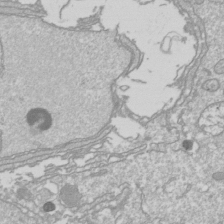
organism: Drosophila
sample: Cell division; meiosis; drosophila spermatocytes